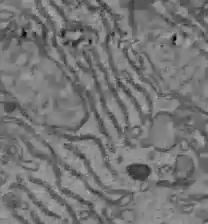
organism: C57BL Mouse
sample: Liver